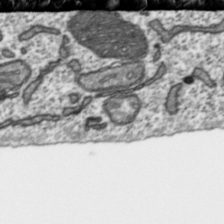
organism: Toxoplasma gondii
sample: Parasites in a vacuole inside a host cell